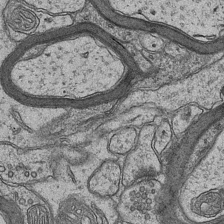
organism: Mouse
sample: CA1 Hippocampus